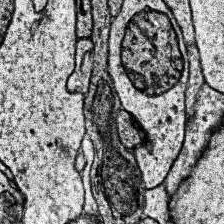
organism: Human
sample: Temporal Lobe